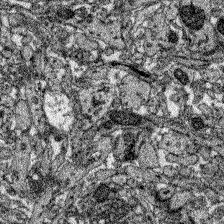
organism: Zebrafish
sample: Larval olfactory bulb